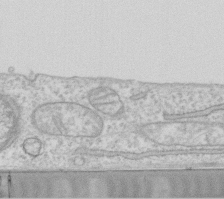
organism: Human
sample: Fibroblast cells